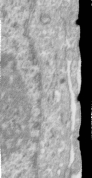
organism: Human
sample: Centriole in RPE cells